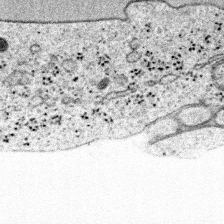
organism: Human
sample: HeLa cells